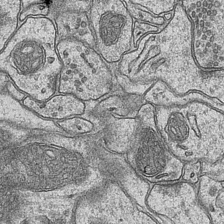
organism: Mouse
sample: CA1 Hippocampus